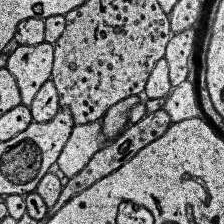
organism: Human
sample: Temporal Lobe